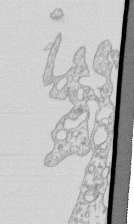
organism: Mouse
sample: Macrophages